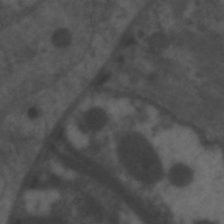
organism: C. elegans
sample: Pharynx